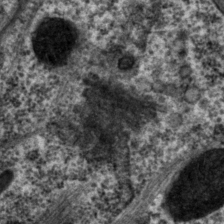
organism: P. pacificus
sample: Pharynx